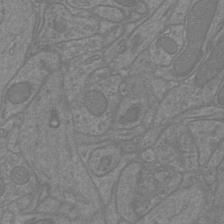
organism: Mouse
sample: Cortical neurons